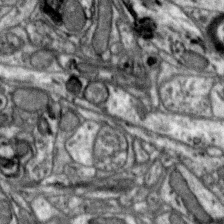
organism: Zebra finch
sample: Brain